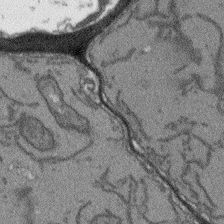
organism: Arabidopsis thaliana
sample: Root tip